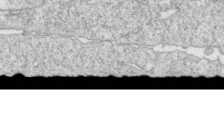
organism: Human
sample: HeLa cell HIV synapse